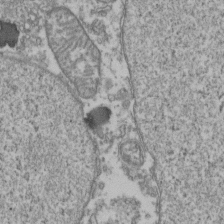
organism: Human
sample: Activated Jurkat CD4+ T cells